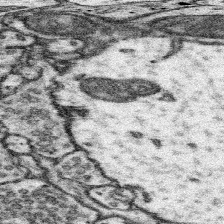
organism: Mouse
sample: Somatosensory cortex neuropil